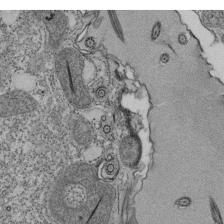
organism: Tetrahymena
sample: Cilia in tetrahymena